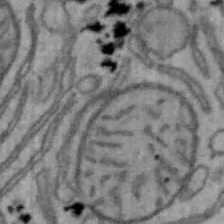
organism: Mouse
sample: Liver